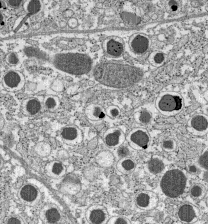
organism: C57BL Mouse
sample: Pancreatic islet